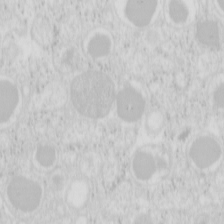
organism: Mouse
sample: Pancreas